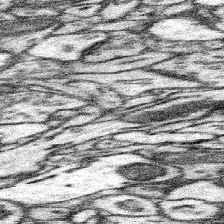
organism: Mouse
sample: Somatosensory cortex neuropil